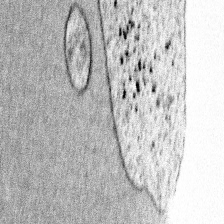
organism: Human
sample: HeLa cells